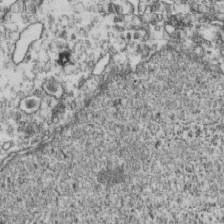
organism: Human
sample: Activated Jurkat CD4+ T cells